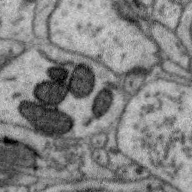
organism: Zebra finch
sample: Brain